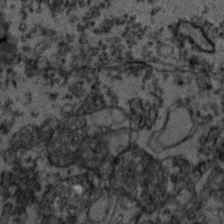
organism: Zebrafish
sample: Zebrafish embryo